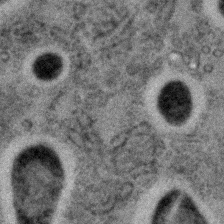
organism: C. elegans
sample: C. elegans embryo